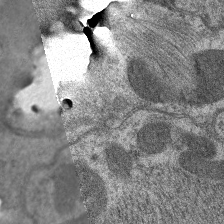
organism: C. elegans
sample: Pharynx